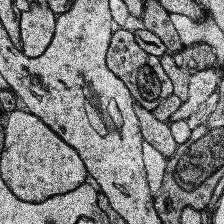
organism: Human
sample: Temporal Lobe